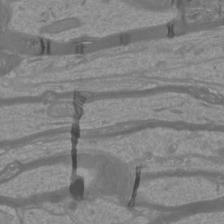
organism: Mouse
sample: Cortical neurons